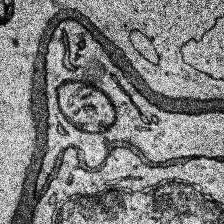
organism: Human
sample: Temporal Lobe